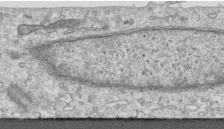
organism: Human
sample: Centriole in RPE cells